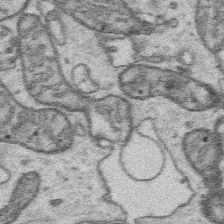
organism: Platynereis dumerilii